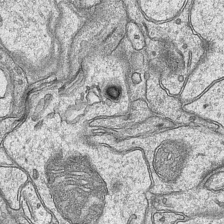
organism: Mouse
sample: CA1 Hippocampus